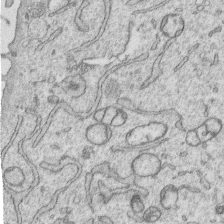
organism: Human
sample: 1205lu cells